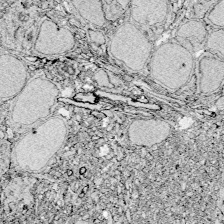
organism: Zebrafish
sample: Whole-Brain